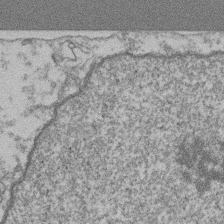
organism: Mouse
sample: T cell stromal cell synapse